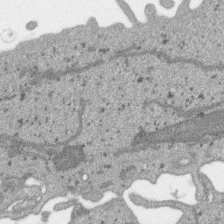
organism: Human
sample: Lung epithelial cells infected with SARS-CoV-2